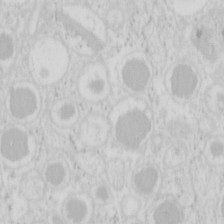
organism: Mouse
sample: Pancreas